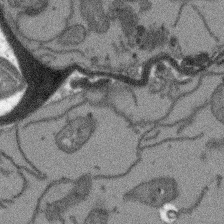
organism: Arabidopsis thaliana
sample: Root tip